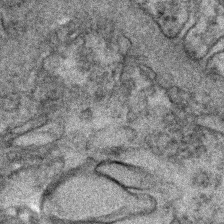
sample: Kidney